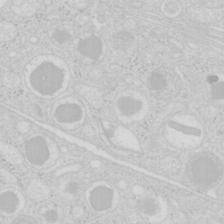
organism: Mouse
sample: Pancreas